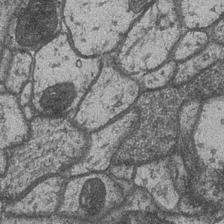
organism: Drosophila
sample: Optic medulla